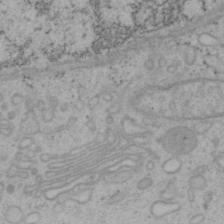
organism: Human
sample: HeLa cells